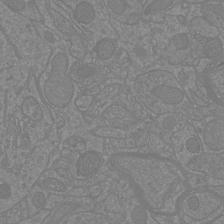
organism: Mouse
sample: Cortical neurons